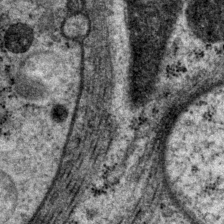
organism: P. pacificus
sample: Pharynx